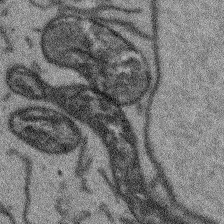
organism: Arabidopsis thaliana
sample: Root tip